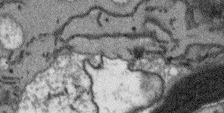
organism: Arabidopsis thaliana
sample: Root tip